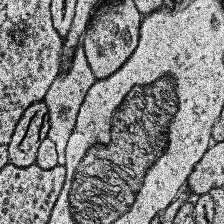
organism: Human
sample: Temporal Lobe